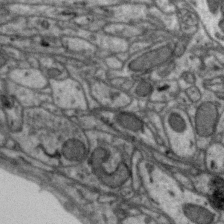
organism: Zebra finch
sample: Brain